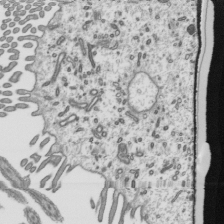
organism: Mouse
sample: Mouse epididymis efferent ductule cilia